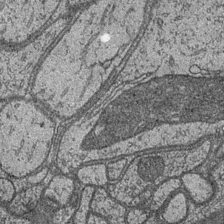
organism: Drosophila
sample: Optic medulla